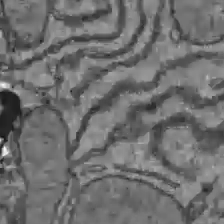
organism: C57BL Mouse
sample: Liver